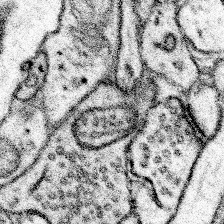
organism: Mouse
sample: Somatosensory cortex neuropil